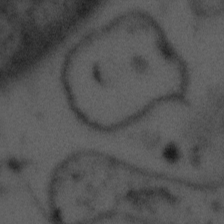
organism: Tuwongella immobilis